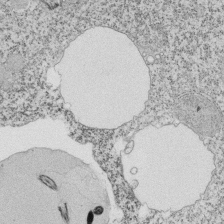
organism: Tetrahymena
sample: Cilia in tetrahymena